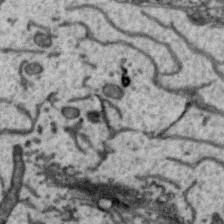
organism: Zebra finch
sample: Brain